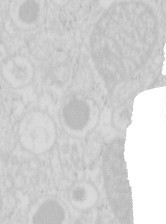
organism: Mouse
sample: Pancreas